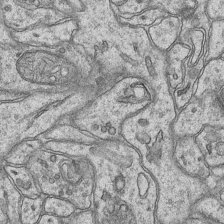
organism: Mouse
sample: CA1 Hippocampus